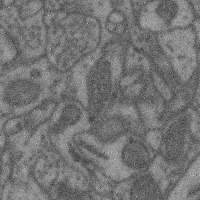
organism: Mouse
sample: Cerebral cortex